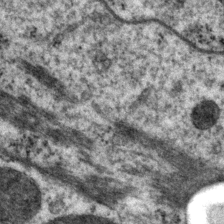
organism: P. pacificus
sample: Pharynx